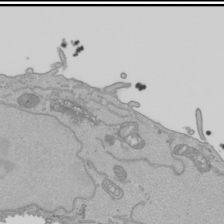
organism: Human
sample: Mitochondria in HCT116 cells